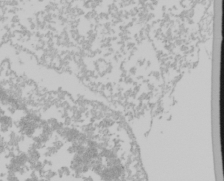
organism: Mouse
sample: Cancer cell death in ED-1 cells